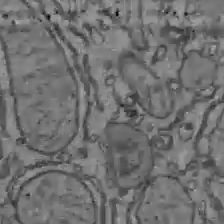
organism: C57BL Mouse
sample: Liver